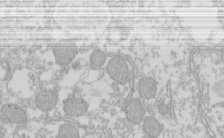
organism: Xenopus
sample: Cilia; centrioles in frog embryo cells